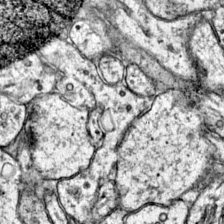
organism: Mouse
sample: Primary visual cortex